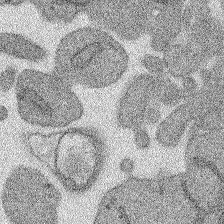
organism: Human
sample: HeLa cells